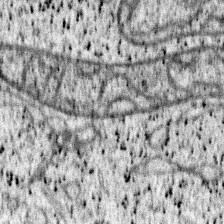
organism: Human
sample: HeLa cells